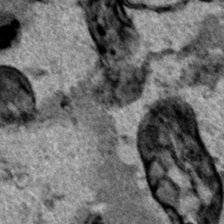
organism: Human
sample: Mitochondria in HCT116 cells